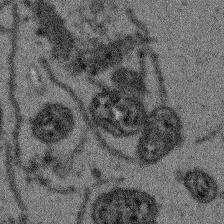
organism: Arabidopsis thaliana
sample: Root tip